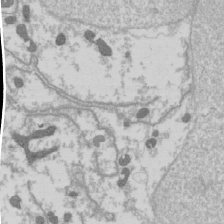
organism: Drosophila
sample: Cell division; meiosis; drosophila spermatocytes